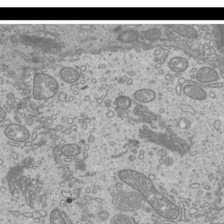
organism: Mouse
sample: Cilia; mouse epididymis